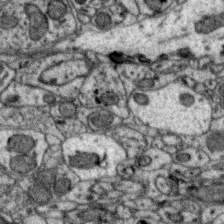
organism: Zebra finch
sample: Brain